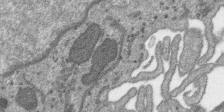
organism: Human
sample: Lung epithelial cells infected with SARS-CoV-2